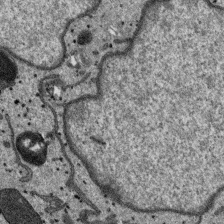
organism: Human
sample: Lung epithelial cells, uninfected (mock) control